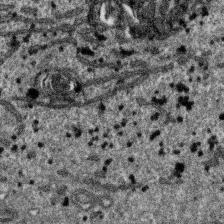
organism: Human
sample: Lung epithelial cells infected with SARS-CoV-2